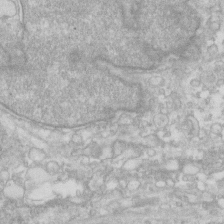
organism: Human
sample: Fibroblast cells